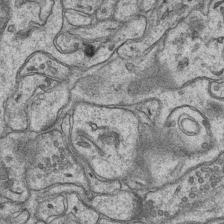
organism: Mouse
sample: CA1 Hippocampus